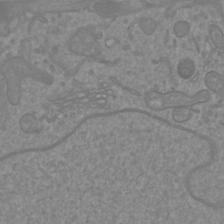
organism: Mouse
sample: Cortical neurons